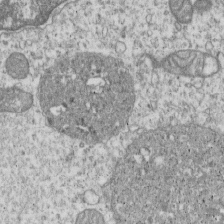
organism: Human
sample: MDA-MB-231 cells